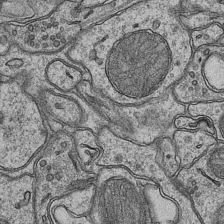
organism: Mouse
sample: CA1 Hippocampus